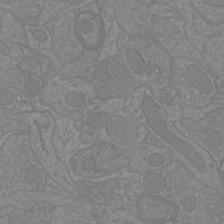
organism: Mouse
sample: Cortical neurons